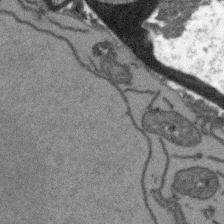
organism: Arabidopsis thaliana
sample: Root tip